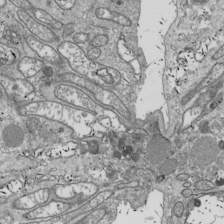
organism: Drosophila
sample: Cell division; meiosis; drosophila spermatocytes